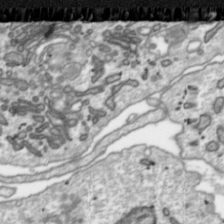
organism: Toxoplasma gondii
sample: Parasites in a vacuole inside a host cell